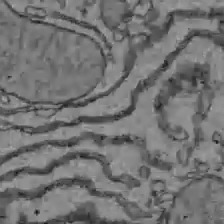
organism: C57BL Mouse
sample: Liver